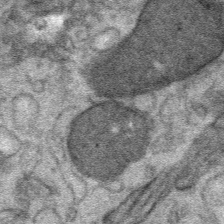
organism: Mouse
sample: Mouse Salivary gland